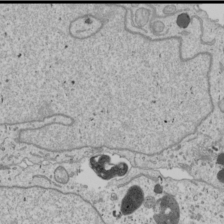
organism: Human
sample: Mitochondria in U2OS cells